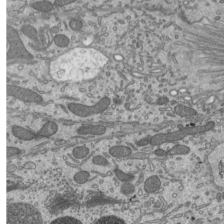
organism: Mouse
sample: Mouse epididymis efferent ductule cilia